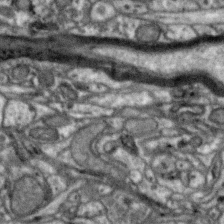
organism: Zebra finch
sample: Brain